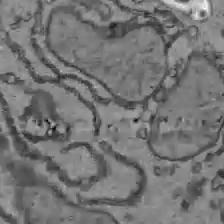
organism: C57BL Mouse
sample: Liver